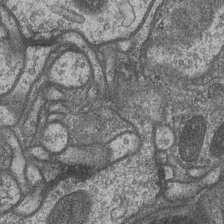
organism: Drosophila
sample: Optic medulla